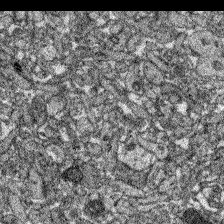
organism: Zebrafish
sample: Larval olfactory bulb